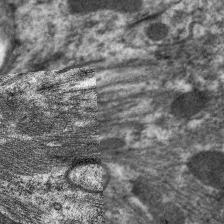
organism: C. elegans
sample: Pharynx